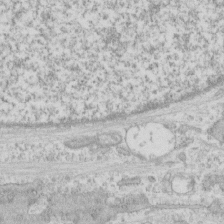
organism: Human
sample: CRL-1474